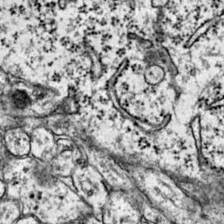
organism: Mouse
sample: Primary visual cortex